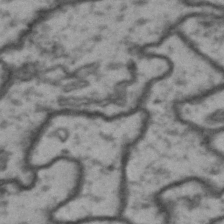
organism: Drosophila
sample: Brain